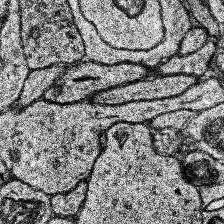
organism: Human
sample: Temporal Lobe